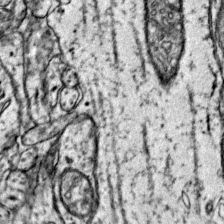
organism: Mouse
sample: Primary visual cortex